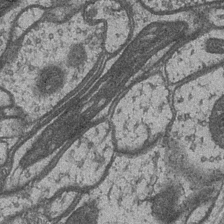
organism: Drosophila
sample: Optic medulla